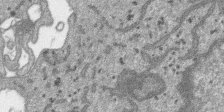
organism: Human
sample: Lung epithelial cells infected with SARS-CoV-2